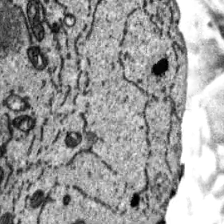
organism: Human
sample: HeLa cells